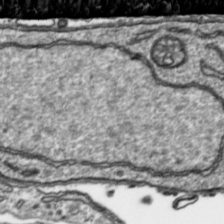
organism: Toxoplasma gondii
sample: Parasites in a vacuole inside a host cell